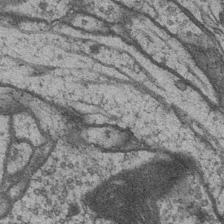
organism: Drosophila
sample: Optic medulla